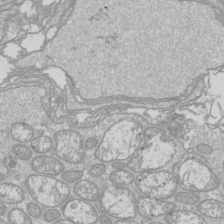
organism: Drosophila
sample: Cell division; meiosis; drosophila spermatocytes